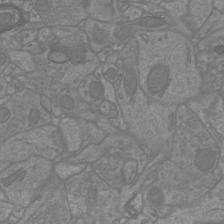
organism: Mouse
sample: Cortical neurons